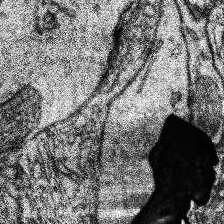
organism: Human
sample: Temporal Lobe